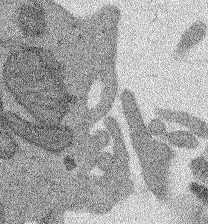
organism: Human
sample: HeLa cells